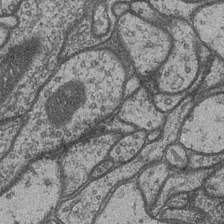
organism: Drosophila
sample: Optic medulla